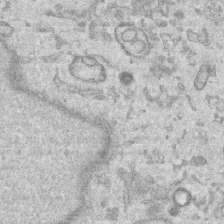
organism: Human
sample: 1205lu cells